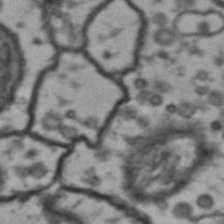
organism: Drosophila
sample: Brain